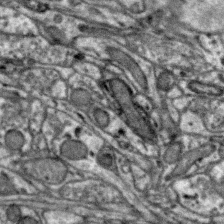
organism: Zebra finch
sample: Brain